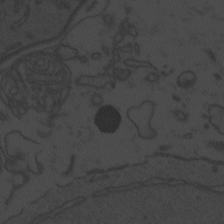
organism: Zebrafish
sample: Macrophage infected with Toxoplasma gondii